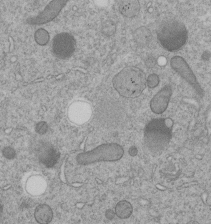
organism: C. elegans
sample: C. elegans embryo early stage